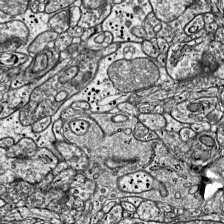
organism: Mouse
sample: Visual Cortex